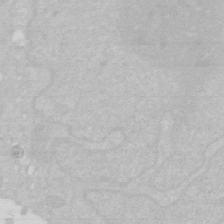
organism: Human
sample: HIV infected U937 cells